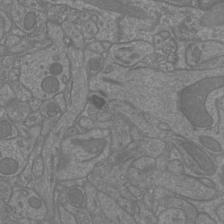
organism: Mouse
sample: Cortical neurons